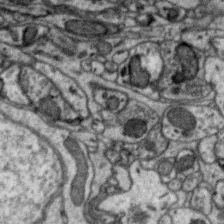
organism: Zebra finch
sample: Brain